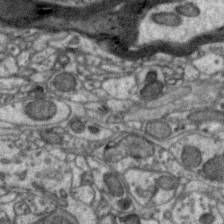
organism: Zebra finch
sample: Brain